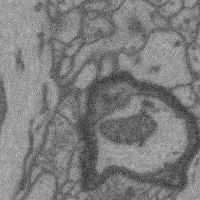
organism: Mouse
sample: Cerebral cortex